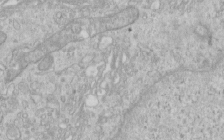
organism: Human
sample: Centriole in RPE cells